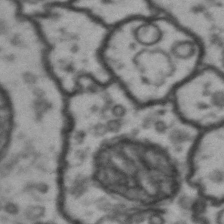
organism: Drosophila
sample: Brain